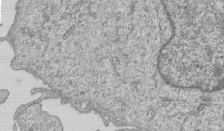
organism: Human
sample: MDA-MB-231 cells